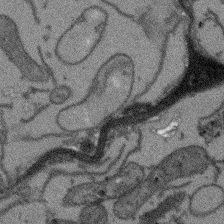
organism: Arabidopsis thaliana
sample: Root tip